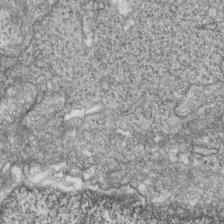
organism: Zebrafish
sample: Cilia; retinal pigment epithelium